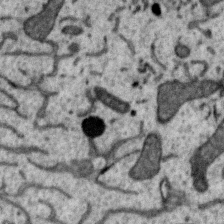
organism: Zebra finch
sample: Brain